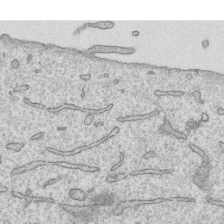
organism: Human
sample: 1205lu cells